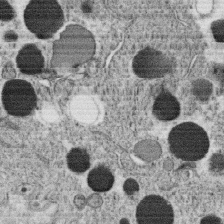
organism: C. elegans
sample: C. elegans oocyte; sperm cells